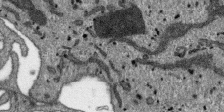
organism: Human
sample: Lung epithelial cells, uninfected (mock) control